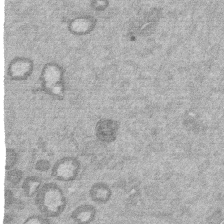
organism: Mouse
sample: Dividing mouse embryo 1 cell stage